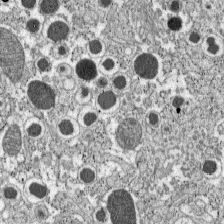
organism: C57BL Mouse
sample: Pancreatic islet